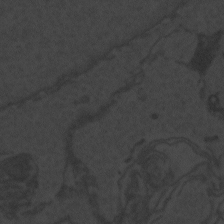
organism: Zebrafish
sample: Macrophage infected with Toxoplasma gondii